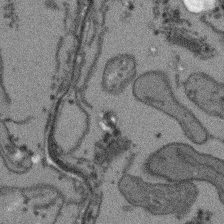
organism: Arabidopsis thaliana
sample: Root tip